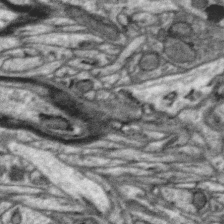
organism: Zebra finch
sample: Brain